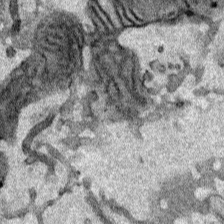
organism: Human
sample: Mitochondria in HCT116 cells